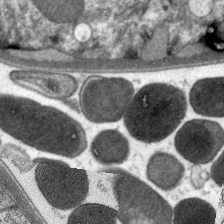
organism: C. elegans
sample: Pharynx